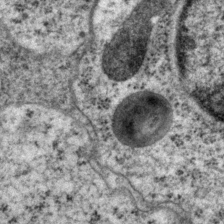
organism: P. pacificus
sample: Pharynx